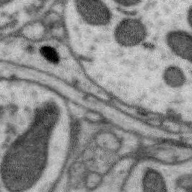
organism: Zebra finch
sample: Brain